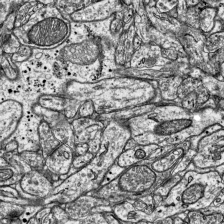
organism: Mouse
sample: Visual Cortex